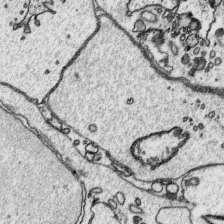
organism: Platynereis dumerilii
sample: Parapodia